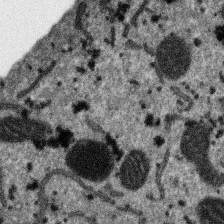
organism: Human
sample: Lung epithelial cells infected with SARS-CoV-2